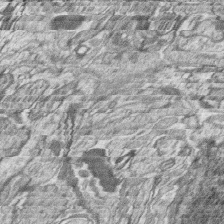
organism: Zebrafish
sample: synaptic ribbons in rod cells and cone cells